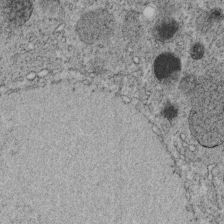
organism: C. elegans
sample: C. elegans embryo early stage